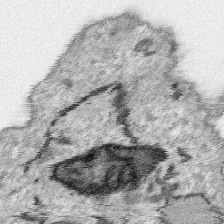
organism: Human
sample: HeLa cells